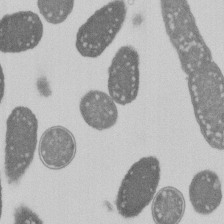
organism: E. coli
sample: Bacterial nucleoid